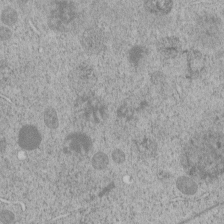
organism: C. elegans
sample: C. elegans embryo early stage